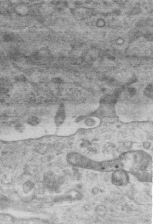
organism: Mouse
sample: Centriole in ependymal cells